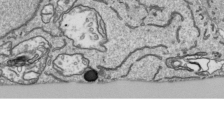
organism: Human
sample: Mitochondria in HCT116 cells